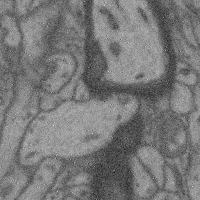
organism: Mouse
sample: Cerebral cortex